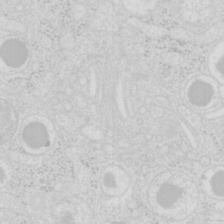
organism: Mouse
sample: Pancreas